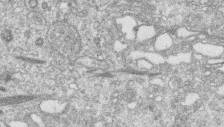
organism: Human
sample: HeLa cell HIV synapse